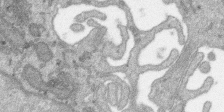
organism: Human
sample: Lung epithelial cells infected with SARS-CoV-2